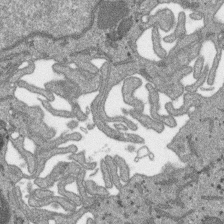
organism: Human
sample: Lung epithelial cells infected with SARS-CoV-2